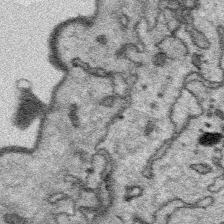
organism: Platynereis dumerilii